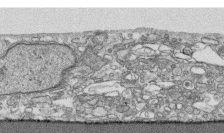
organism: Human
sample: CRL-1474